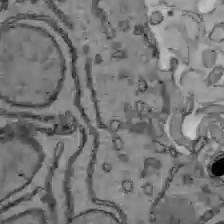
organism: C57BL Mouse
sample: Liver